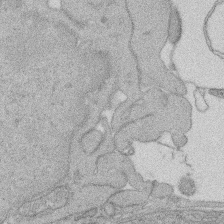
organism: Rat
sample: Salivary granule